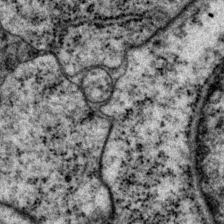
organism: P. pacificus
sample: Pharynx